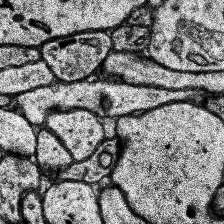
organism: Human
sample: Temporal Lobe